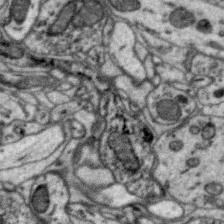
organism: Zebra finch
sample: Brain